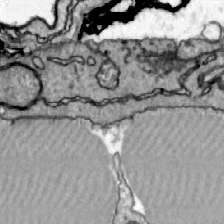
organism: Zebrafish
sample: Actinotrichia fibers